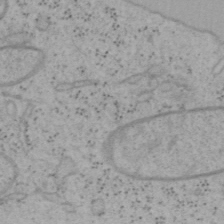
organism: Human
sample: HeLa cells